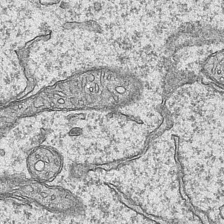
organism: Mouse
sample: CA1 Hippocampus